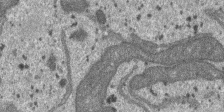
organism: Human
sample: Lung epithelial cells infected with SARS-CoV-2